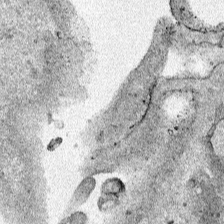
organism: Human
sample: Mitochondria in HCT116 cells